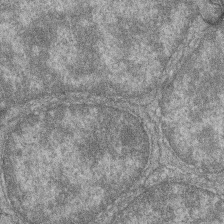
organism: Zebrafish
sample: Cilia; retinal pigment epithelium